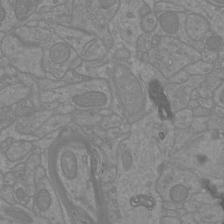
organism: Mouse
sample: Cortical neurons